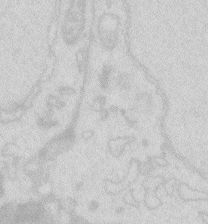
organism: Zebrafish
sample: Macrophage